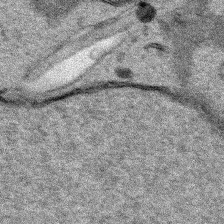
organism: Human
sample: Mitochondria in HCT116 cells